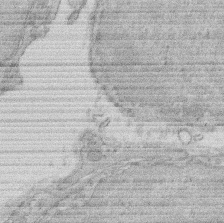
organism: Rat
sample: Salivary granule